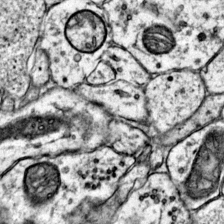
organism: Mouse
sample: Primary visual cortex